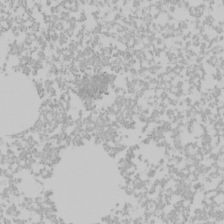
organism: Mouse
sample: Cancer cell death in ED-1 cells